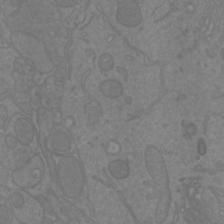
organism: Mouse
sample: Cortical neurons